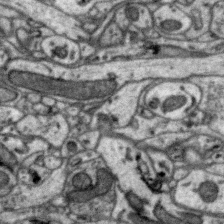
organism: Zebra finch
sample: Brain